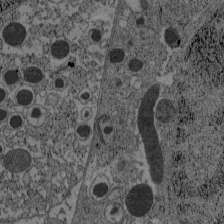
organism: C57BL Mouse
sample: Pancreatic islet